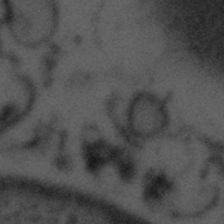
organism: Tuwongella immobilis